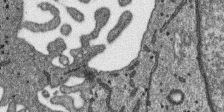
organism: Human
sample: Lung epithelial cells infected with SARS-CoV-2